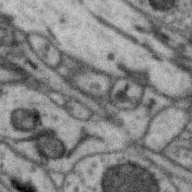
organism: Zebra finch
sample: Brain